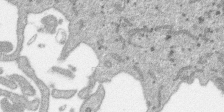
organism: Human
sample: Lung epithelial cells infected with SARS-CoV-2